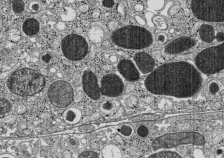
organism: C57BL Mouse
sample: Pancreatic islet